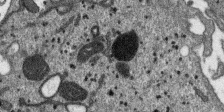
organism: Human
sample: Lung epithelial cells infected with SARS-CoV-2